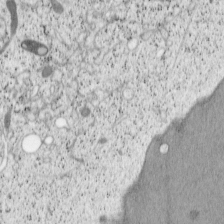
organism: African green monkey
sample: COS-7 cells